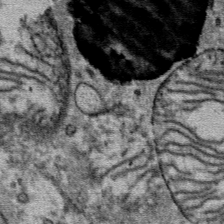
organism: Mouse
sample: Mouse Salivary gland